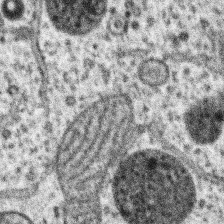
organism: Human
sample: HeLa cells